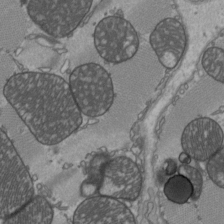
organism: C57BL Mouse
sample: Heart